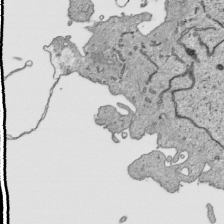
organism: Human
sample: Mitochondria in HCT116 cells